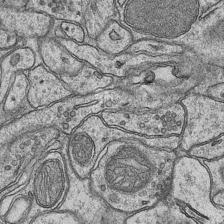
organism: Mouse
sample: CA1 Hippocampus